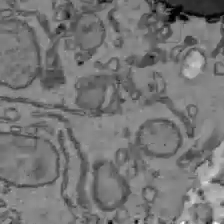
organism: C57BL Mouse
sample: Liver